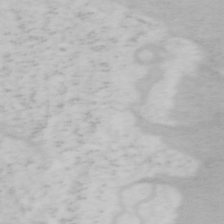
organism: Mouse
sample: OT-I killer T cells with ID8 ovarian cancer cells